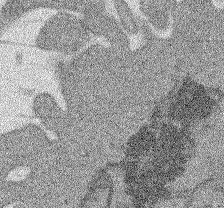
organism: Human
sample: HeLa cells